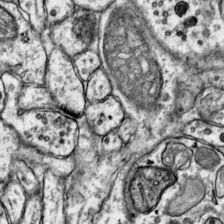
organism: Mouse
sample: Primary visual cortex